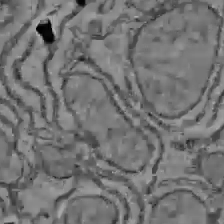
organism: C57BL Mouse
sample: Liver